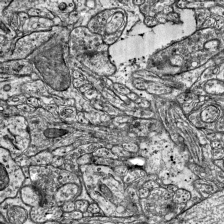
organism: Mouse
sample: Visual Cortex